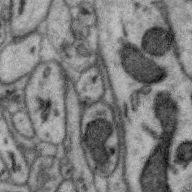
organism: Zebra finch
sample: Brain